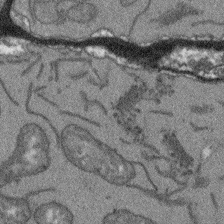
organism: Arabidopsis thaliana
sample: Root tip